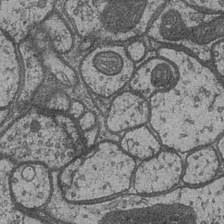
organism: Drosophila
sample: Optic medulla